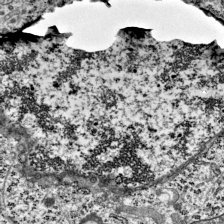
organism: Mouse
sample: Visual Cortex